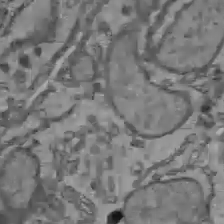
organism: C57BL Mouse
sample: Liver